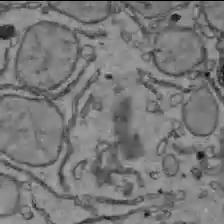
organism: C57BL Mouse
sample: Liver